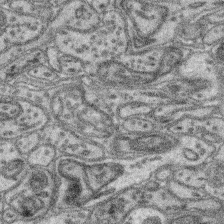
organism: Mouse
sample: Retina